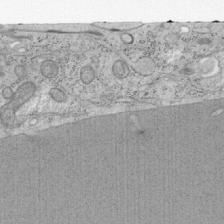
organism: Human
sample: HeLa cells